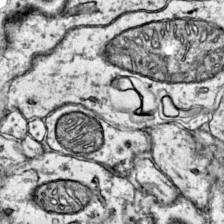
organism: Mouse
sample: Primary visual cortex